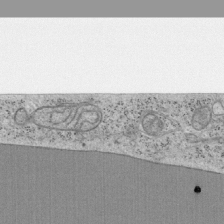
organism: Human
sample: HeLa cells